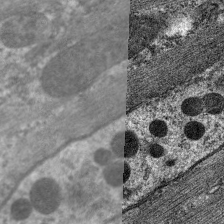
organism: C. elegans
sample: Pharynx